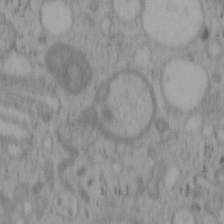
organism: Mouse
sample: OT-I killer T cells with ID8 ovarian cancer cells